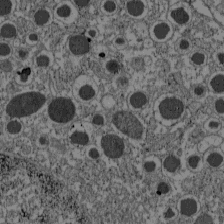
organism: C57BL Mouse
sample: Pancreatic islet